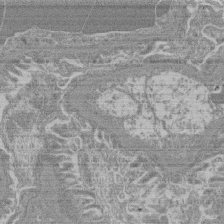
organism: Mouse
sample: Glomerulus